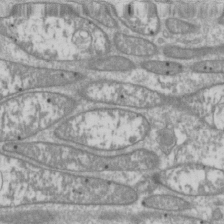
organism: Drosophila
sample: Cell division; meiosis; drosophila spermatocytes